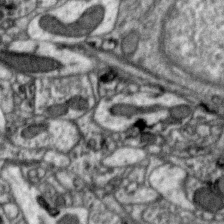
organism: Zebra finch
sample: Brain